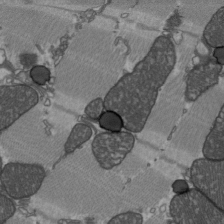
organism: C57BL Mouse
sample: Heart